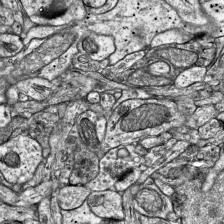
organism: Mouse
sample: Visual Cortex